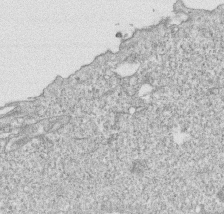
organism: Human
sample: HeLa cell HIV synapse